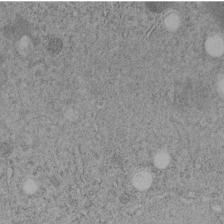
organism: C. elegans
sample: C. elegans embryo early stage